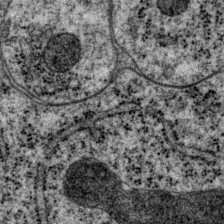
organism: P. pacificus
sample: Pharynx